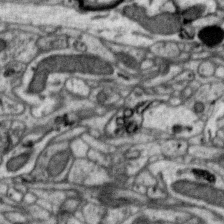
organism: Zebra finch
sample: Brain